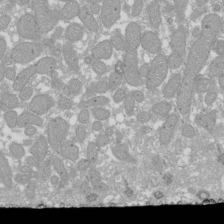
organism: Xenopus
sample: Cilia; centrioles in frog embryo cells